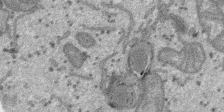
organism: Human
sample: Lung epithelial cells infected with SARS-CoV-2